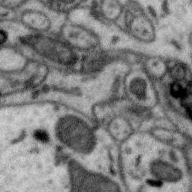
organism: Zebra finch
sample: Brain